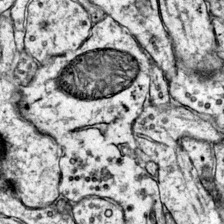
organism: Mouse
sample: Primary visual cortex